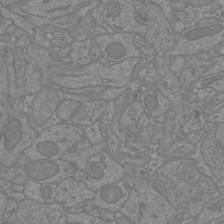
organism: Mouse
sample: Cortical neurons